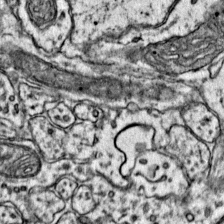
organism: Mouse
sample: Primary visual cortex